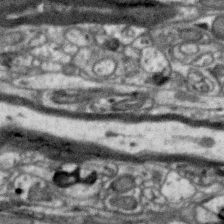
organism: Zebra finch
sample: Brain